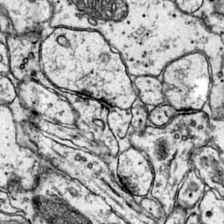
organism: Mouse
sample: Primary visual cortex